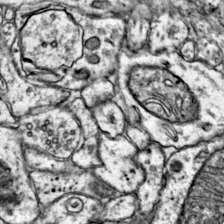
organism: Mouse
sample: Primary visual cortex